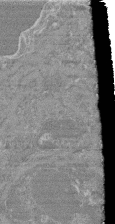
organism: Mouse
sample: Glomerulus